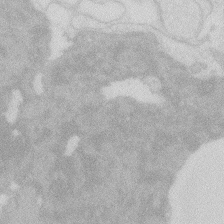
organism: Zebrafish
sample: Macrophage